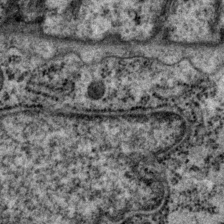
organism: P. pacificus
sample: Pharynx